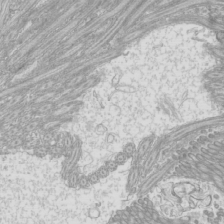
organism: Mouse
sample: Cilia; mouse epididymis